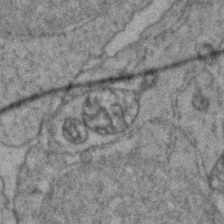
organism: Zebrafish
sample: Zebrafish embryo